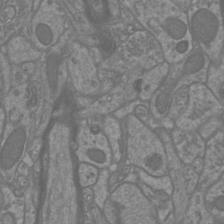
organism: Mouse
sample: Cortical neurons